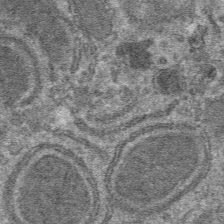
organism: Mouse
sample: Mouse hepatocytes